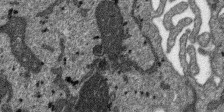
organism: Human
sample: Lung epithelial cells infected with SARS-CoV-2